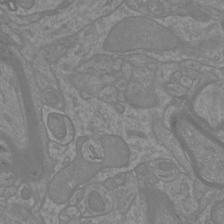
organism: Mouse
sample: Cortical neurons